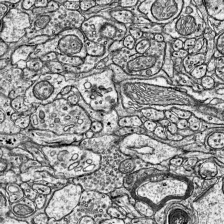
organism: Mouse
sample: Visual Cortex